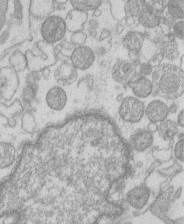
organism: Human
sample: Macrophage cells